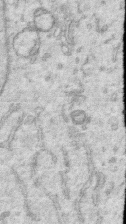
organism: Human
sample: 1205lu cells